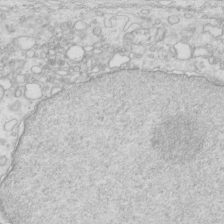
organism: Mouse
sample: Multiciliated cells